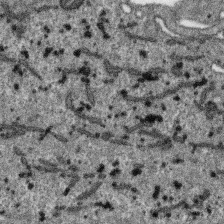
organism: Human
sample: Lung epithelial cells infected with SARS-CoV-2